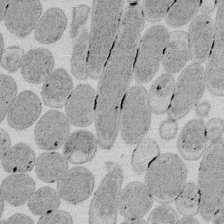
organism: E. coli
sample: Bacterial nucleoid